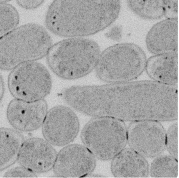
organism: E. coli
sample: Bacterial nucleoid